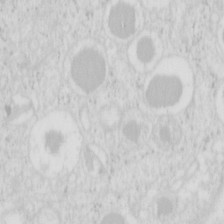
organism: Mouse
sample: Pancreas